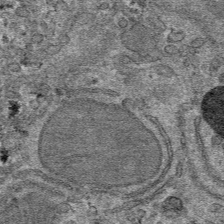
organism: Mouse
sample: Mouse hepatocytes